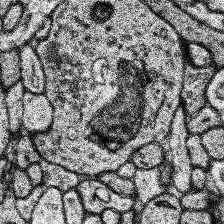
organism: Human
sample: Temporal Lobe